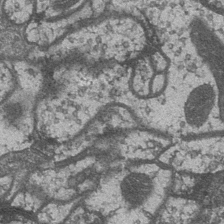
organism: Drosophila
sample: Optic medulla